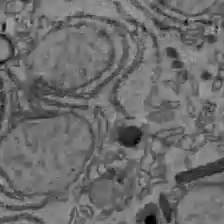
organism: C57BL Mouse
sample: Liver